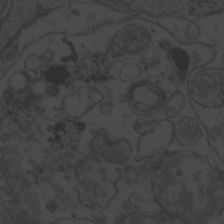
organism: Zebrafish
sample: Macrophage infected with Toxoplasma gondii